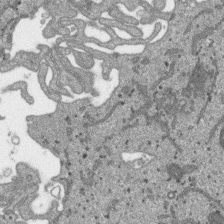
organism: Human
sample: Lung epithelial cells infected with SARS-CoV-2